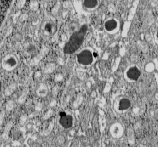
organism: C57BL Mouse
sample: Pancreatic islet